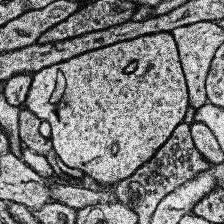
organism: Human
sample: Temporal Lobe